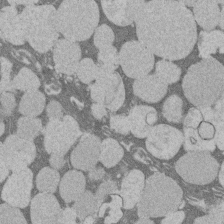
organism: Rat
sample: Salivary granule